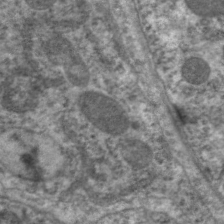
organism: C. elegans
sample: Pharynx